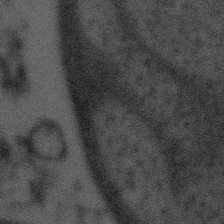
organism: Tuwongella immobilis